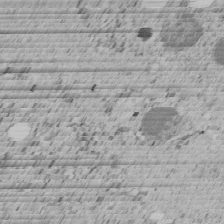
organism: C. elegans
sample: C. elegans embryo early stage